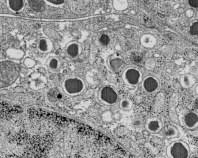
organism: C57BL Mouse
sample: Pancreatic islet